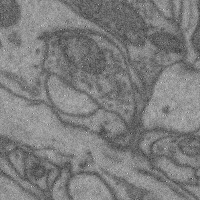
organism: Mouse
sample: Cerebral cortex